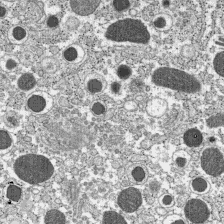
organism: C57BL Mouse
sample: Pancreatic islet